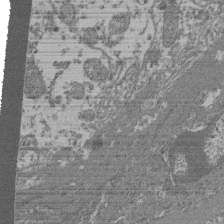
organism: Mouse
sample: Glomerulus